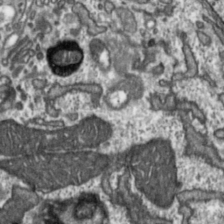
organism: Toxoplasma gondii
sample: Parasites in a vacuole inside a host cell